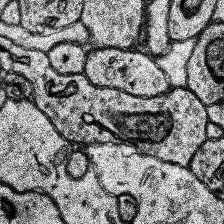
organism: Human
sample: Temporal Lobe